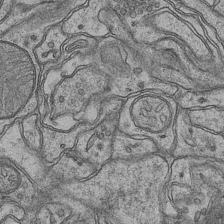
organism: Mouse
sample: CA1 Hippocampus